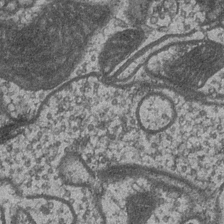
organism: Drosophila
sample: Optic medulla